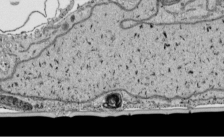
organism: Human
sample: Mitochondria in HCT116 cells